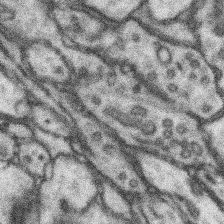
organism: Mouse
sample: Somatosensory cortex neuropil